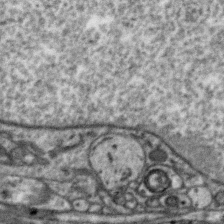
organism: Zebra finch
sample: Brain